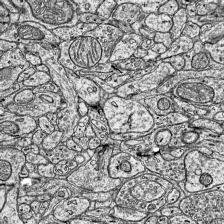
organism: Mouse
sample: Visual Cortex